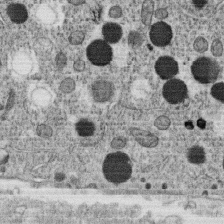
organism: C. elegans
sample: C. elegans oocyte; sperm cells